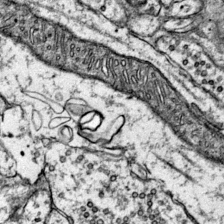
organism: Mouse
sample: Primary visual cortex